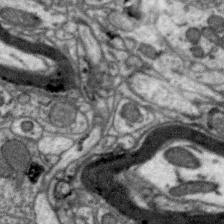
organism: Zebra finch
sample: Brain